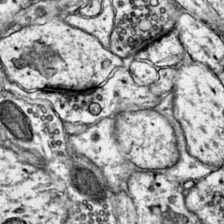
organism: Mouse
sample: Primary visual cortex